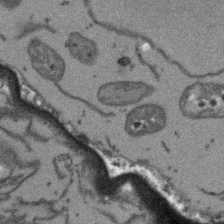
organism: Arabidopsis thaliana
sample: Root tip